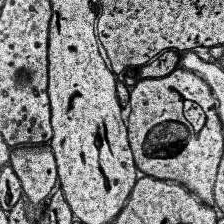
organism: Human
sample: Temporal Lobe